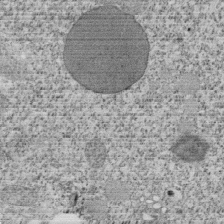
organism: Tetrahymena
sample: Cilia in tetrahymena